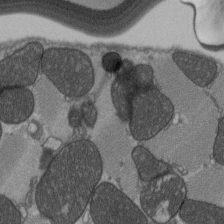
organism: C57BL Mouse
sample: Heart